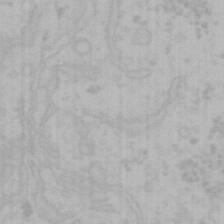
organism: Mouse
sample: Choroid plexus